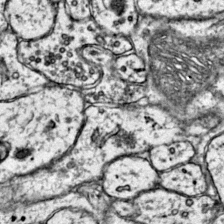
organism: Mouse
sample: Primary visual cortex